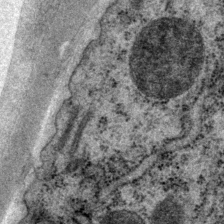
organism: P. pacificus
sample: Pharynx